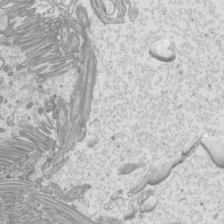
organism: Mouse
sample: Cilia; mouse epididymis